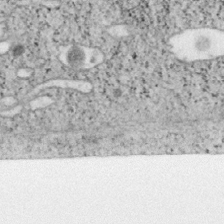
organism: Mouse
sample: OT-I killer T cells with ID8 ovarian cancer cells